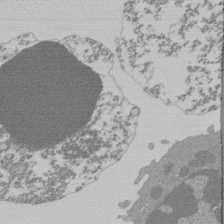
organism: Mouse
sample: Activated Pmel transgenic CD8+ T Cells